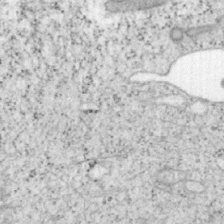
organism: Mouse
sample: OT-I killer T cells with ID8 ovarian cancer cells